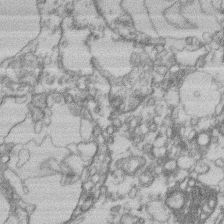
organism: Mouse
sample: T cell stromal cell synapse